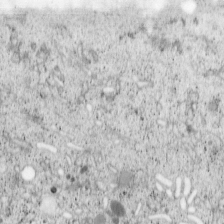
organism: African green monkey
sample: COS-7 cells